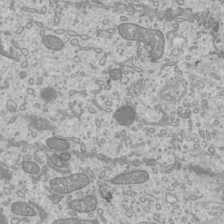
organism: Mouse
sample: Cilia; mouse epididymis